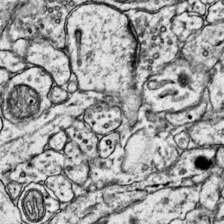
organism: Mouse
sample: Primary visual cortex